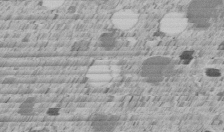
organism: C. elegans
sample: C. elegans embryo early stage